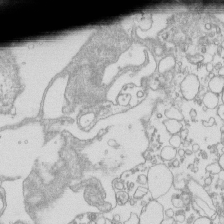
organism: Mouse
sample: Macrophages